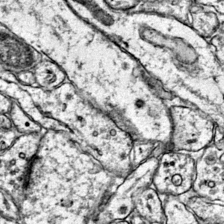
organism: Mouse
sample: Primary visual cortex